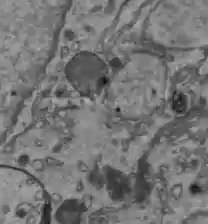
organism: C57BL Mouse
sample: Liver